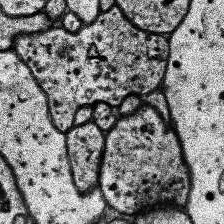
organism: Human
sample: Temporal Lobe